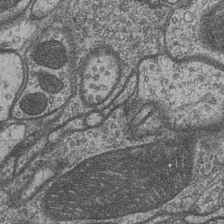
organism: Drosophila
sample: Optic medulla